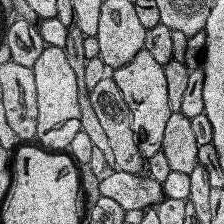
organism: Human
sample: Temporal Lobe